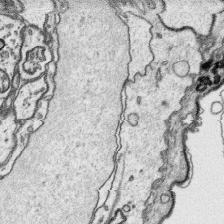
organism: Platynereis dumerilii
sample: Parapodia